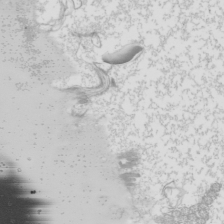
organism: Mouse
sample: Cilia; mouse epididymis